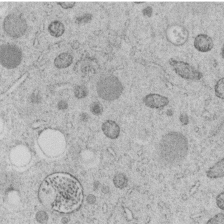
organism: C. elegans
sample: C. elegans embryo early stage